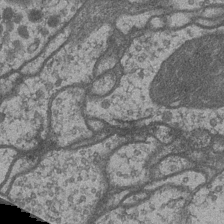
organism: Drosophila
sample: Optic medulla